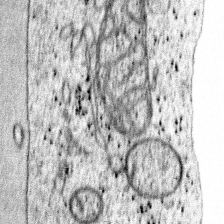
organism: Human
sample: HeLa cells